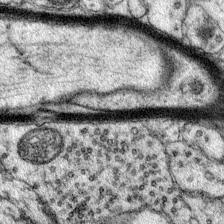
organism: Mouse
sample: Primary visual cortex